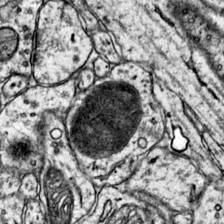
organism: Mouse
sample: Primary visual cortex